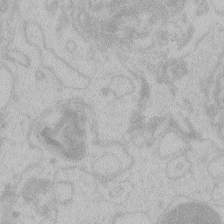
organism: Zebrafish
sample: Macrophage infected with Toxoplasma gondii